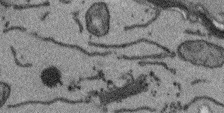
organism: Arabidopsis thaliana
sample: Root tip